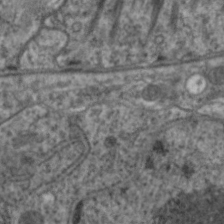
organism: C. elegans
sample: Pharynx